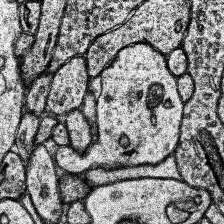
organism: Human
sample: Temporal Lobe